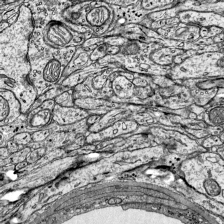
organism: Mouse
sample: Visual Cortex